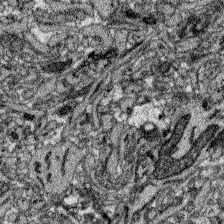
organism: Zebrafish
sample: Larval olfactory bulb